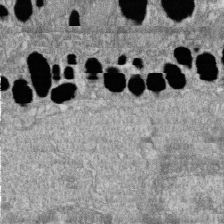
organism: Zebrafish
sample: Cilia; retinal pigment epithelium